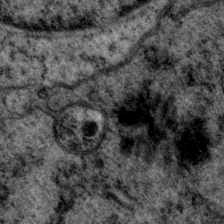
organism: P. pacificus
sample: Pharynx